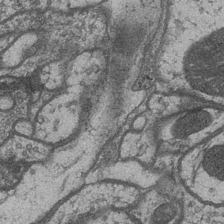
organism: Drosophila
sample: Optic medulla